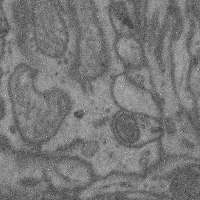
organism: Mouse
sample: Cerebral cortex